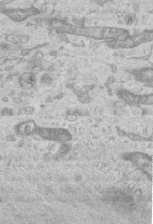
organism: Mouse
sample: Centriole in ependymal cells